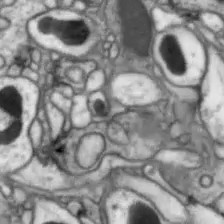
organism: Drosophila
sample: Optic lobe